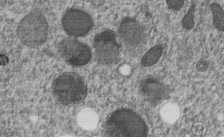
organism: C. elegans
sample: C. elegans embryo early stage